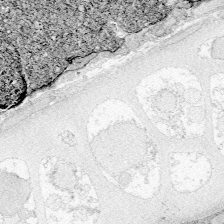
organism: Zebrafish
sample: Whole-Brain